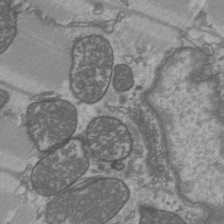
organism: C57BL Mouse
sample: Heart